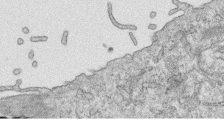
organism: Human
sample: HeLa cell HIV synapse